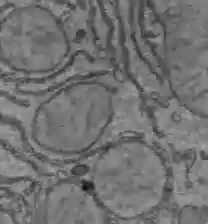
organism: C57BL Mouse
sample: Liver